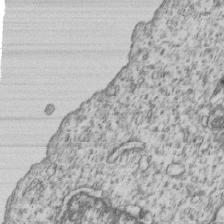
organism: Human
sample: MDA-MB-231 cells